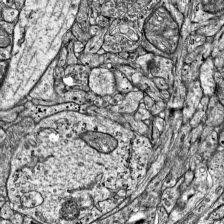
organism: Mouse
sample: Visual Cortex